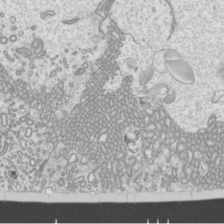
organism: Mouse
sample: Cilia; mouse epididymis